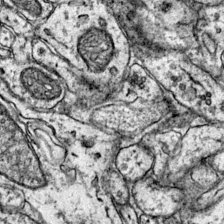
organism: Mouse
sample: Primary visual cortex